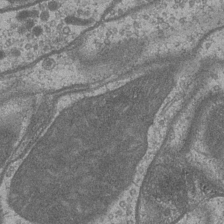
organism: Drosophila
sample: Optic medulla